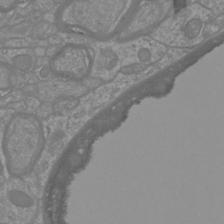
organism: Mouse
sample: Cortical neurons